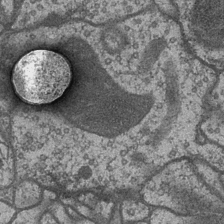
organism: Drosophila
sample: Optic medulla